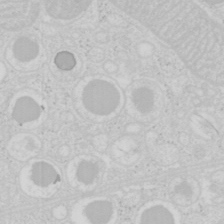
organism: Mouse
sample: Pancreas